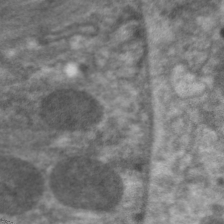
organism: C. elegans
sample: Pharynx